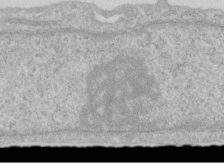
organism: Human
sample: Centriole in RPE cells